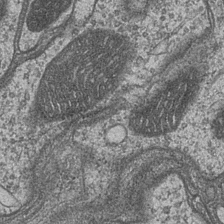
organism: Drosophila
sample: Optic medulla